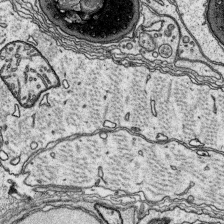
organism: Platynereis dumerilii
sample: Parapodia